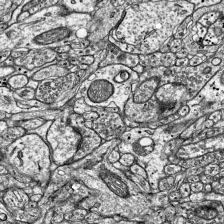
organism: Mouse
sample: Visual Cortex